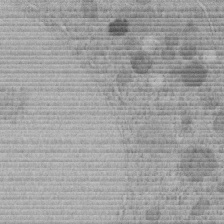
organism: C. elegans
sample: C. elegans embryo early stage